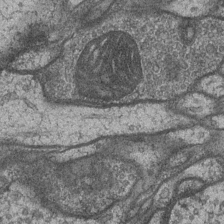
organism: Drosophila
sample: Optic medulla